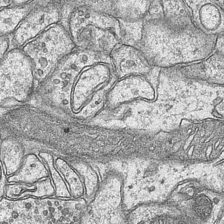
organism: Mouse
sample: CA1 Hippocampus